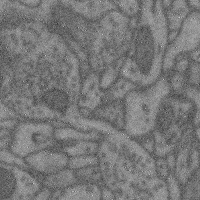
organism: Mouse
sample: Cerebral cortex